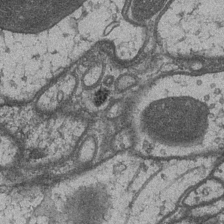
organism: Drosophila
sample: Optic medulla